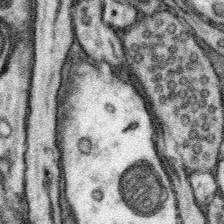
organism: Mouse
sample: Somatosensory cortex neuropil